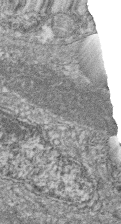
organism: Zebrafish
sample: Cilia; retinal pigment epithelium